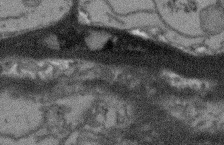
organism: Arabidopsis thaliana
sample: Root tip